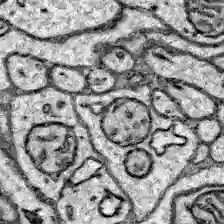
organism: Zebrafish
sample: Brain